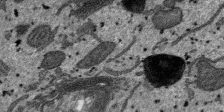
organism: Human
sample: Lung epithelial cells, uninfected (mock) control